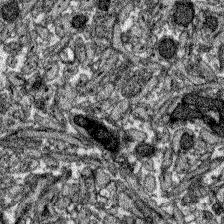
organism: Zebrafish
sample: Larval olfactory bulb